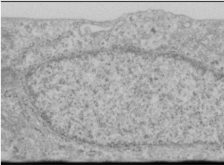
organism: Human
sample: Cilia; basal body in RPE cells